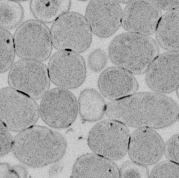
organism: E. coli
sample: Bacterial nucleoid